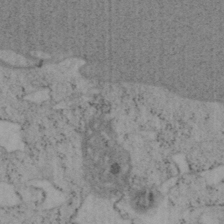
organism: Mouse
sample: OT-I killer T cells with ID8 ovarian cancer cells